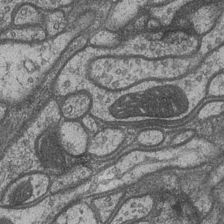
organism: Drosophila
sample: Optic medulla